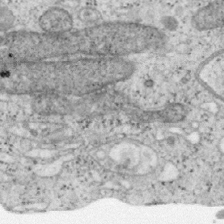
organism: Mouse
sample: OT-I killer T cells with ID8 ovarian cancer cells